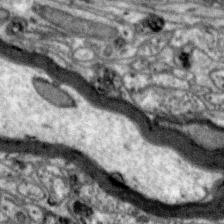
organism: Zebra finch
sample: Brain